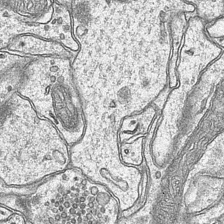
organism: Mouse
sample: CA1 Hippocampus